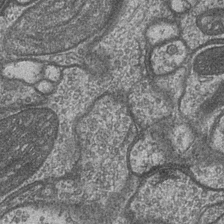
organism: Drosophila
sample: Optic medulla